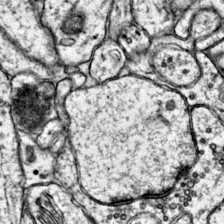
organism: Mouse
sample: Primary visual cortex